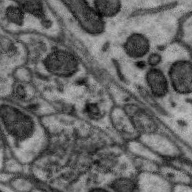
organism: Zebra finch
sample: Brain